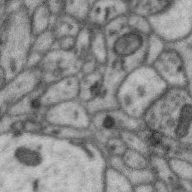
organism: Zebra finch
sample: Brain